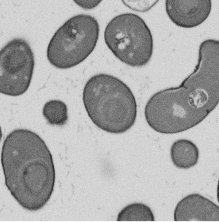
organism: B. subtilis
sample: Bacterial spore